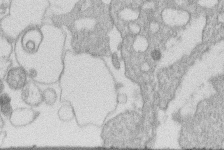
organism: Human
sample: Macrophage cells